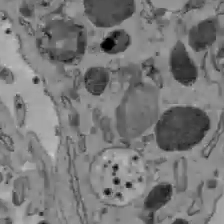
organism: C57BL Mouse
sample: Liver